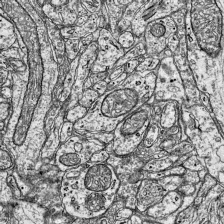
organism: Mouse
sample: Visual Cortex